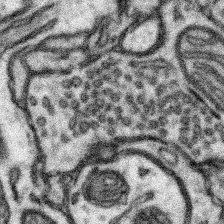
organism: Mouse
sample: Somatosensory cortex neuropil